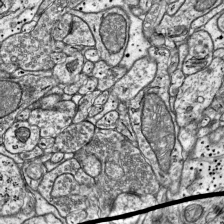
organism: Mouse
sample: Visual Cortex